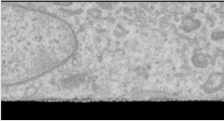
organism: Human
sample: Cilia; basal body in RPE cells